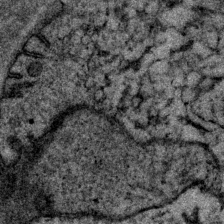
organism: P. pacificus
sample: Pharynx